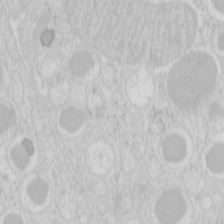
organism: Mouse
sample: Pancreas